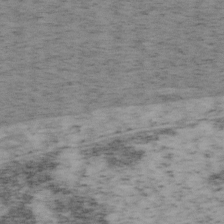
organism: Mouse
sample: OT-I killer T cells with ID8 ovarian cancer cells